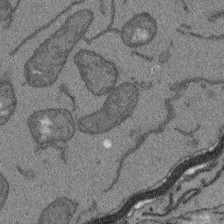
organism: Arabidopsis thaliana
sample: Root tip